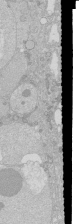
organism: Human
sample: Caco-2 cells